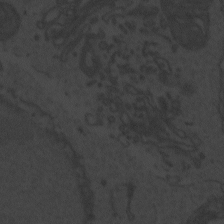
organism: Zebrafish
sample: Macrophage infected with Toxoplasma gondii